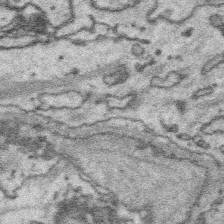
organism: Platynereis dumerilii